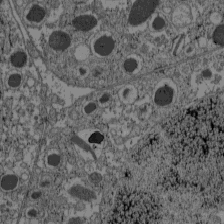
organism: C57BL Mouse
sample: Pancreatic islet